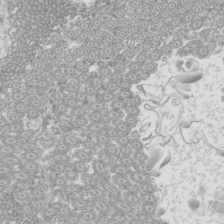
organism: Mouse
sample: Cilia; mouse epididymis